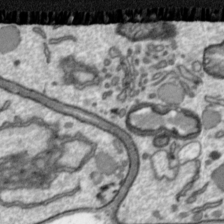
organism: Toxoplasma gondii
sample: Parasites in a vacuole inside a host cell